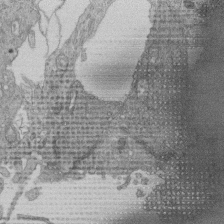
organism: Human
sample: Retinal organoid Rod and Cone cells